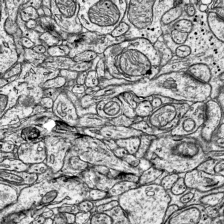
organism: Mouse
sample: Visual Cortex